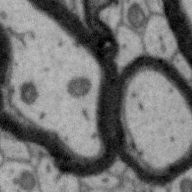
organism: Zebra finch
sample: Brain